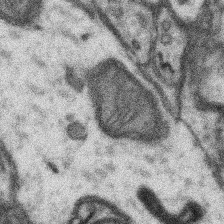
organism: Mouse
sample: Somatosensory cortex neuropil